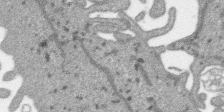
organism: Human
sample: Lung epithelial cells infected with SARS-CoV-2